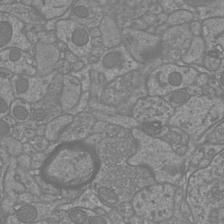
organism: Mouse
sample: Cortical neurons